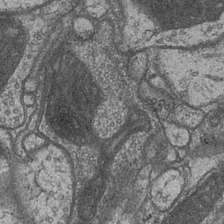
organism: Drosophila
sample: Optic medulla